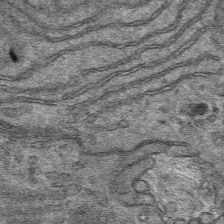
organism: Mouse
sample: Mouse hepatocytes